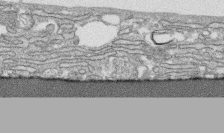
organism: Human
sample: CRL-1474